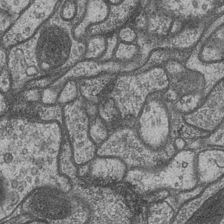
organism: Drosophila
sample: Optic medulla